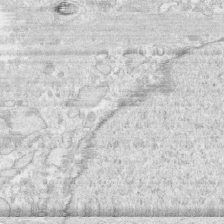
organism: Human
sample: CRL-1474